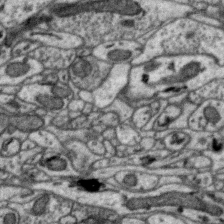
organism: Zebra finch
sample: Brain